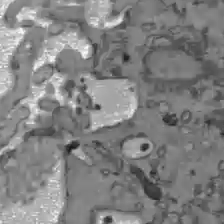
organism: C57BL Mouse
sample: Liver